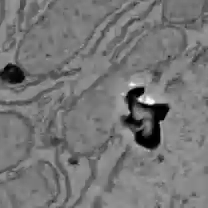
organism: C57BL Mouse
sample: Liver